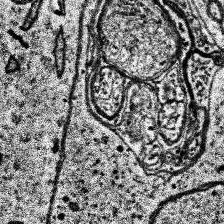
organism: Human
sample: Temporal Lobe